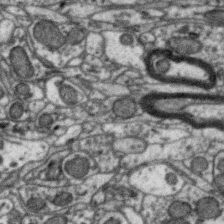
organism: Zebra finch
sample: Brain